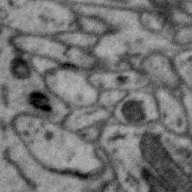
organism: Zebra finch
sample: Brain